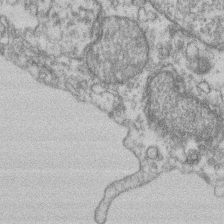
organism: Mouse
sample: T cell stromal cell synapse